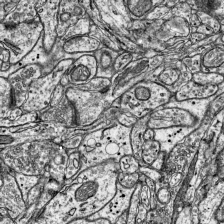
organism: Mouse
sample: Visual Cortex